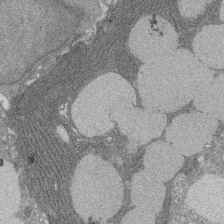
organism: Rat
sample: Salivary granule